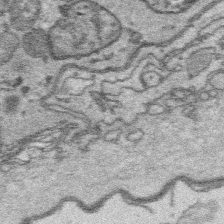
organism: Platynereis dumerilii